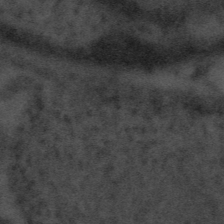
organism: Tuwongella immobilis